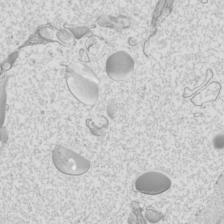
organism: Mouse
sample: Cilia; mouse epididymis